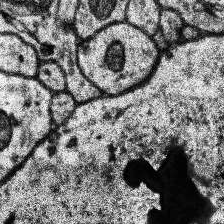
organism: Human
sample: Temporal Lobe